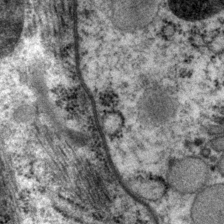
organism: P. pacificus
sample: Pharynx